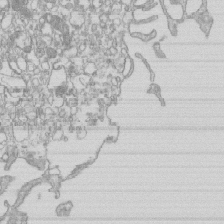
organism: Mouse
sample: Macrophages